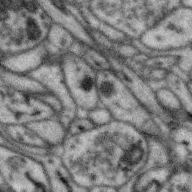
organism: Zebra finch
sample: Brain